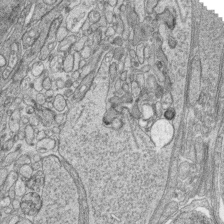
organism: Zebrafish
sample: synaptic ribbons in rod cells and cone cells